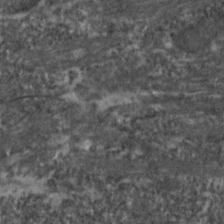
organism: Zebrafish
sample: Zebrafish embryo